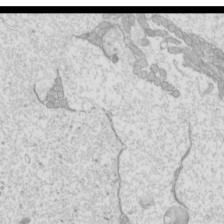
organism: Mouse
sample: Cilia; mouse epididymis